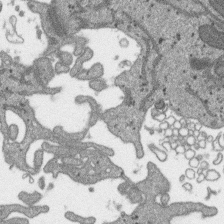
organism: Human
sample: Lung epithelial cells infected with SARS-CoV-2